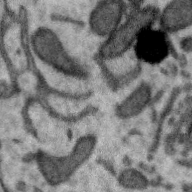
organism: Zebra finch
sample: Brain